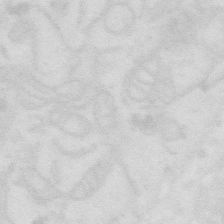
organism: Human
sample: HeLa cells